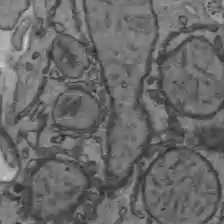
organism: C57BL Mouse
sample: Liver